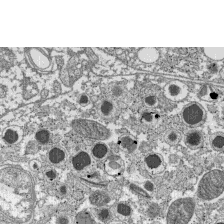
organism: C57BL Mouse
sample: Pancreatic islet